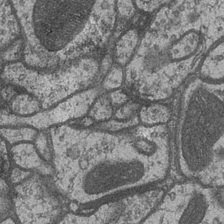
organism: Drosophila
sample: Optic medulla